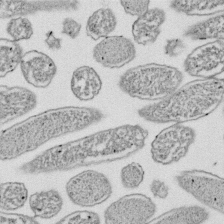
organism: E. coli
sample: Bacterial nucleoid